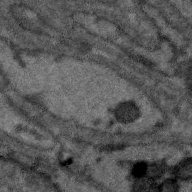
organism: Zebra finch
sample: Brain